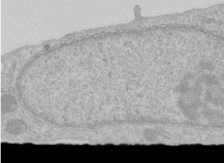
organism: Human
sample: Centriole in RPE cells